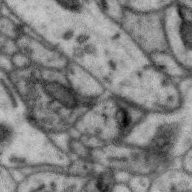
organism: Zebra finch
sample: Brain